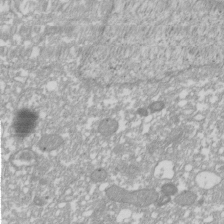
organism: Xenopus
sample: Cilia; centrioles in frog embryo cells